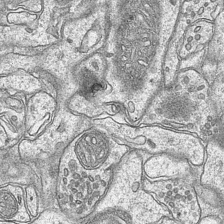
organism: Mouse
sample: CA1 Hippocampus